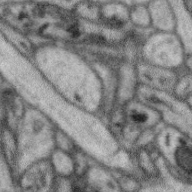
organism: Zebra finch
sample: Brain